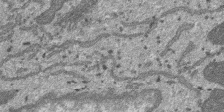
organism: Human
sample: Lung epithelial cells infected with SARS-CoV-2